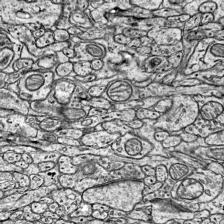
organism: Mouse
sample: Visual Cortex